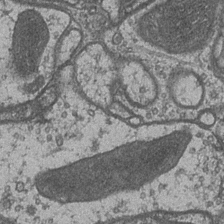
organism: Drosophila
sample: Optic medulla